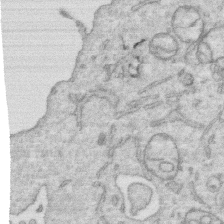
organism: Human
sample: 1205lu cells